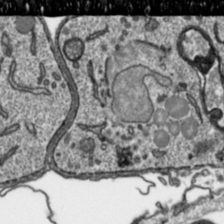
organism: Toxoplasma gondii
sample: Parasites in a vacuole inside a host cell